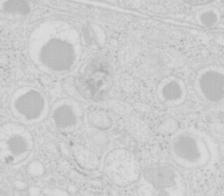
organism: Mouse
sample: Pancreas